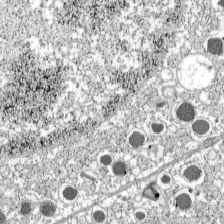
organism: C57BL Mouse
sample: Pancreatic islet